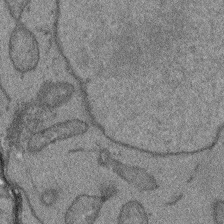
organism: Arabidopsis thaliana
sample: Root tip